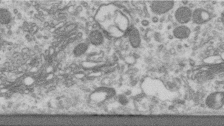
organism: Human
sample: Centriole in RPE cells